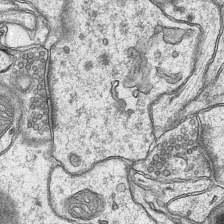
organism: Mouse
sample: CA1 Hippocampus